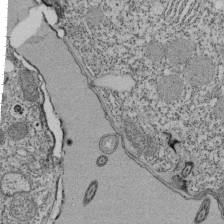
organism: Tetrahymena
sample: Cilia in tetrahymena